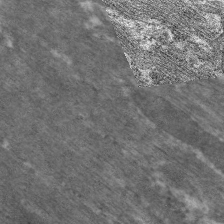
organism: C. elegans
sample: Pharynx